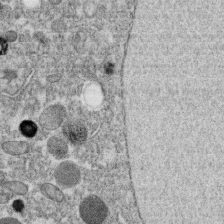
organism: C. elegans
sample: C. elegans oocyte; sperm cells